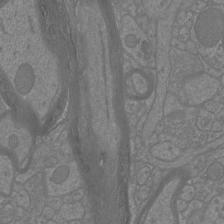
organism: Mouse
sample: Cortical neurons